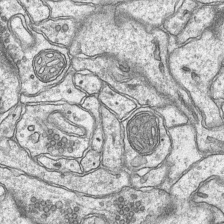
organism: Mouse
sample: CA1 Hippocampus